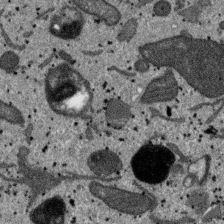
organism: Human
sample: Lung epithelial cells, uninfected (mock) control